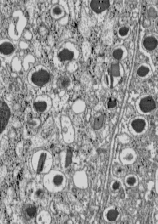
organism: C57BL Mouse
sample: Pancreatic islet